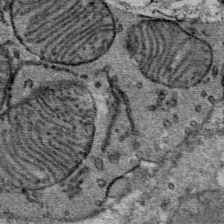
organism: Mouse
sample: Mouse Salivary gland